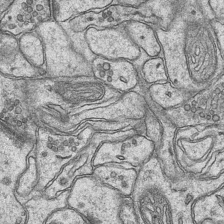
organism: Mouse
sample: CA1 Hippocampus